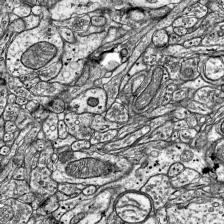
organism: Mouse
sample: Visual Cortex